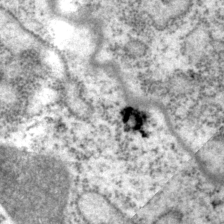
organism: P. pacificus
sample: Pharynx